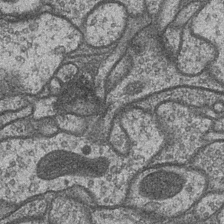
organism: Drosophila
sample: Optic medulla